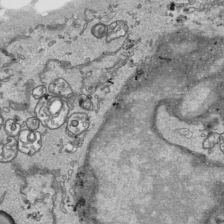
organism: Human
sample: Mitochondria in HCT116 cells